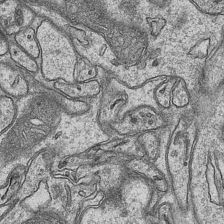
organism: Mouse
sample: CA1 Hippocampus